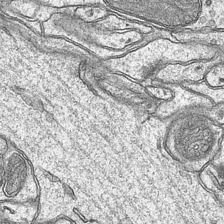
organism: Mouse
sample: CA1 Hippocampus